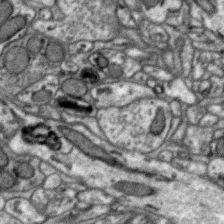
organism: Zebra finch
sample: Brain